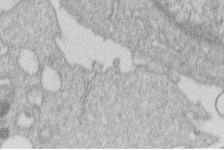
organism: Human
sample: Macrophage cells